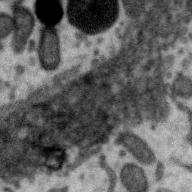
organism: Zebra finch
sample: Brain